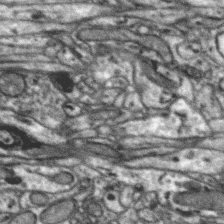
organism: Zebra finch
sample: Brain